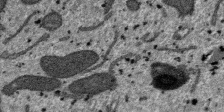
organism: Human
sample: Lung epithelial cells, uninfected (mock) control